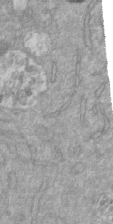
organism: Mouse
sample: ED-1 cell nuclei; centrioles